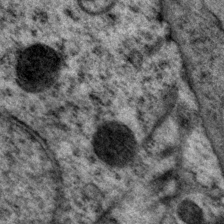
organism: P. pacificus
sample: Pharynx